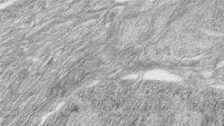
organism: Zebrafish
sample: synaptic ribbons in rod cells and cone cells